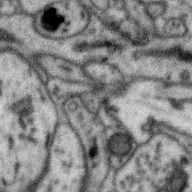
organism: Zebra finch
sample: Brain